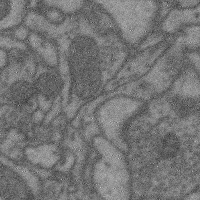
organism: Mouse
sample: Cerebral cortex